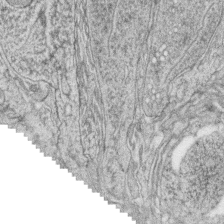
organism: Zebrafish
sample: synaptic ribbons in rod cells and cone cells